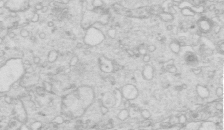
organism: Mouse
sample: Multiciliated cells